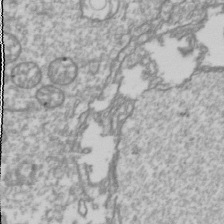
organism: Drosophila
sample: Cell division; meiosis; drosophila spermatocytes